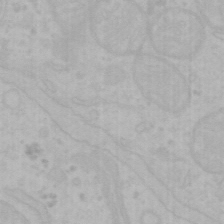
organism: Mouse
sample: Choroid plexus